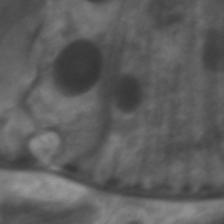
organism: C. elegans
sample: Pharynx